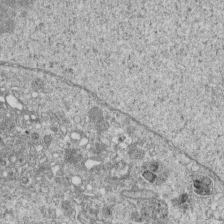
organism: Human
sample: HeLa cell HIV synapse